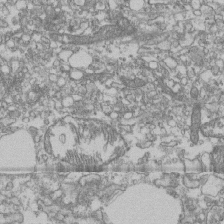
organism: Human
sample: Fibroblast cells